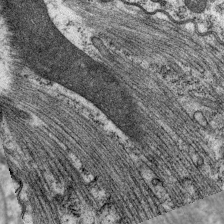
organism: C. elegans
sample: Pharynx